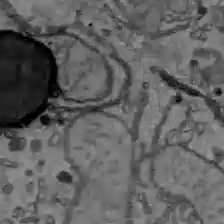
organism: C57BL Mouse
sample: Liver